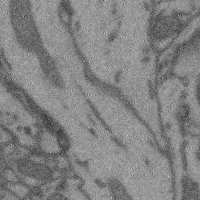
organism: Mouse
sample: Cerebral cortex